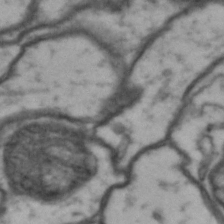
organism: Drosophila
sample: Brain